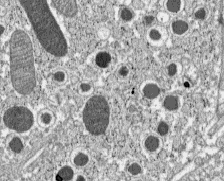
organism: C57BL Mouse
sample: Pancreatic islet